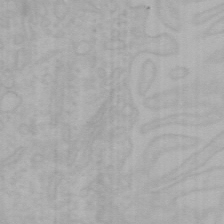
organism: Mouse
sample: Choroid plexus